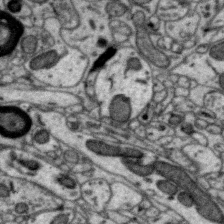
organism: Zebra finch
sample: Brain